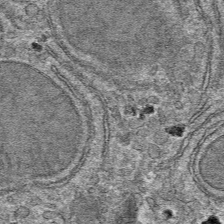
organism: Mouse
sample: Mouse hepatocytes